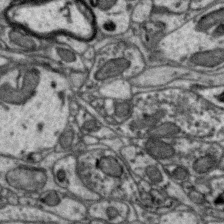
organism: Zebra finch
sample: Brain